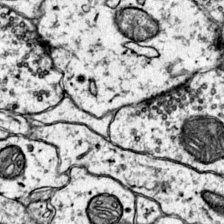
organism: Mouse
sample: Primary visual cortex